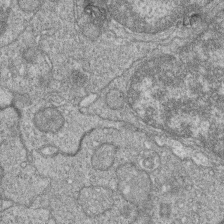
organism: Zebrafish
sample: Cilia; retinal pigment epithelium